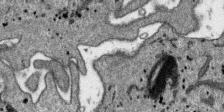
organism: Human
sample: Lung epithelial cells, uninfected (mock) control